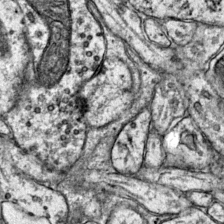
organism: Mouse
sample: Primary visual cortex